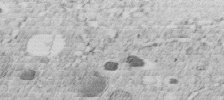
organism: C. elegans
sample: C. elegans embryo early stage